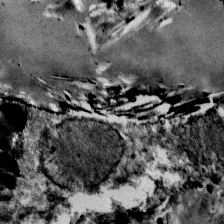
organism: Mouse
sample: Mouse Salivary gland